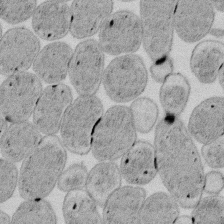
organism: E. coli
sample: Bacterial nucleoid